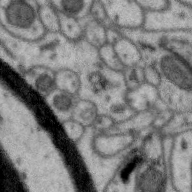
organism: Zebra finch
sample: Brain